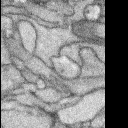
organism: Rabbit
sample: Retina